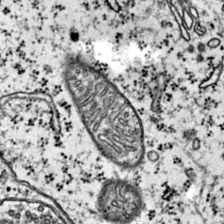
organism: Mouse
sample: Primary visual cortex